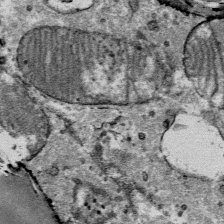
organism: Mouse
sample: Mouse Salivary gland